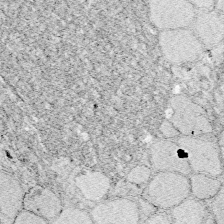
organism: Zebrafish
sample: Whole-Brain